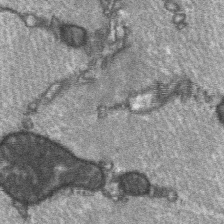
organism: C57BL Mouse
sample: Soleus